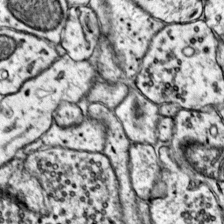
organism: Mouse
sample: Primary visual cortex